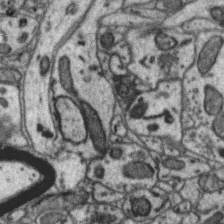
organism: Zebra finch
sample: Brain